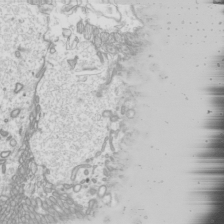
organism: Mouse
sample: Cilia; mouse epididymis